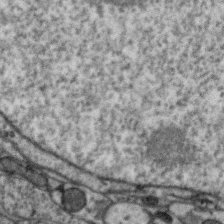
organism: Zebra finch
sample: Brain